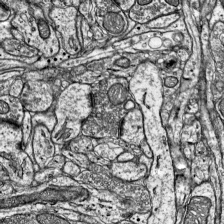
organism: Mouse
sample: Visual Cortex